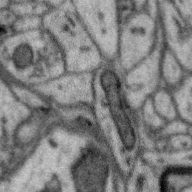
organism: Zebra finch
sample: Brain